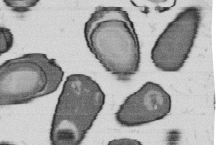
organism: B. subtilis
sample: Bacterial spore